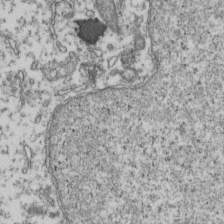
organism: Human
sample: Activated Jurkat CD4+ T cells